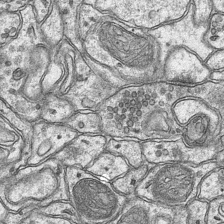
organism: Mouse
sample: CA1 Hippocampus